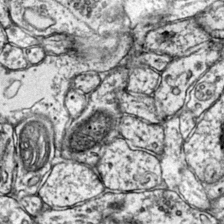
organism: Mouse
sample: Primary visual cortex